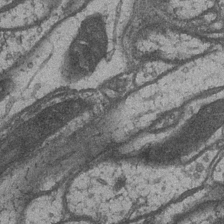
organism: Drosophila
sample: Optic medulla